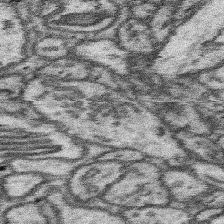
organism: Mouse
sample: Somatosensory cortex neuropil